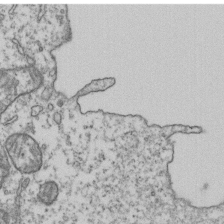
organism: Human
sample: Activated Jurkat CD4+ T cells